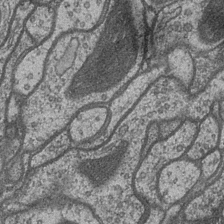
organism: Drosophila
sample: Optic medulla